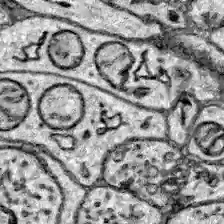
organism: Zebrafish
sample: Brain